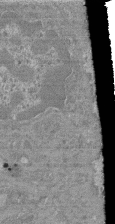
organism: Mouse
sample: Glomerulus